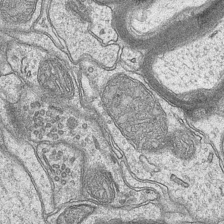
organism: Mouse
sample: CA1 Hippocampus